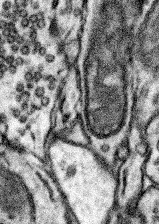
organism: Mouse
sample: Somatosensory cortex neuropil